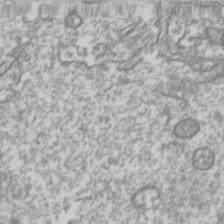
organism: Drosophila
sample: Cell division; meiosis; drosophila spermatocytes